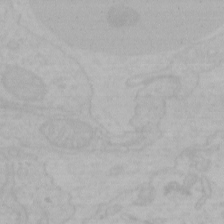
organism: Mouse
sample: Choroid plexus